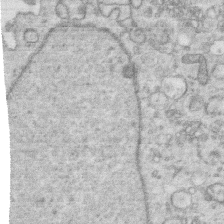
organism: Human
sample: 1205lu cells